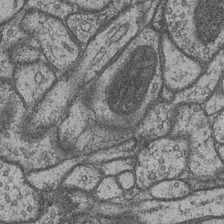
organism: Drosophila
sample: Optic medulla